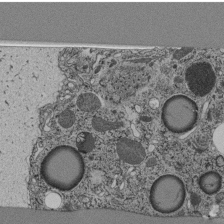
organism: C. elegans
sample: C. elegans pharynx